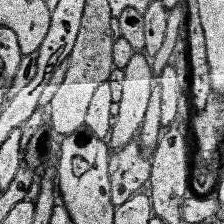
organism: Human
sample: Temporal Lobe